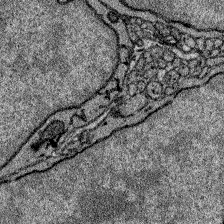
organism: Zebrafish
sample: Larval olfactory bulb